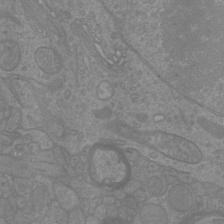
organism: Mouse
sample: Cortical neurons